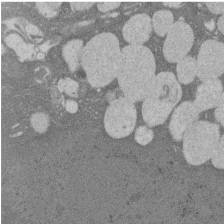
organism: Rat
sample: Salivary granule